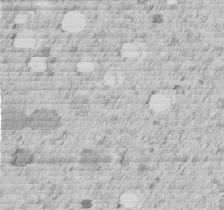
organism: C. elegans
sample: C. elegans embryo early stage